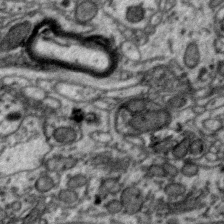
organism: Zebra finch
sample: Brain